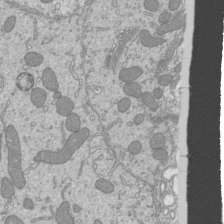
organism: Mouse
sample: Cilia; mouse epididymis